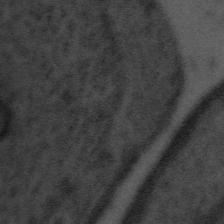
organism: Tuwongella immobilis